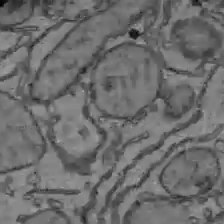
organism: C57BL Mouse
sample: Liver